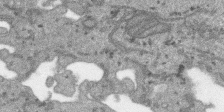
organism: Human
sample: Lung epithelial cells infected with SARS-CoV-2